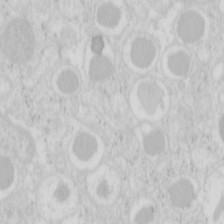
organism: Mouse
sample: Pancreas